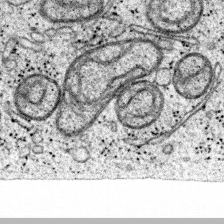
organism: Human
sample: HeLa cells